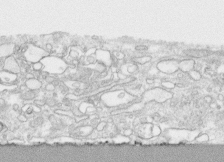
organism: Human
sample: CRL-1474